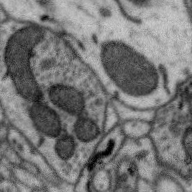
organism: Zebra finch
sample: Brain